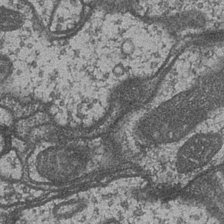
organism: Drosophila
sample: Optic medulla